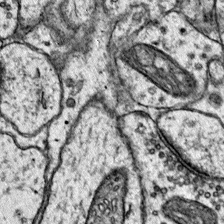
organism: Mouse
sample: Primary visual cortex